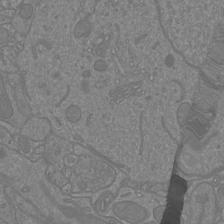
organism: Mouse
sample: Cortical neurons